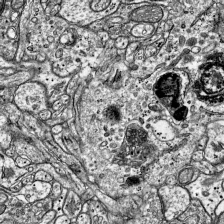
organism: Mouse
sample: Visual Cortex